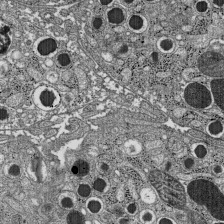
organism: C57BL Mouse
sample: Pancreatic islet